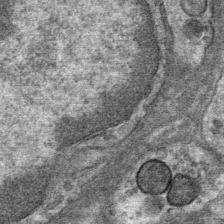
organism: Mouse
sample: Mouse Salivary gland